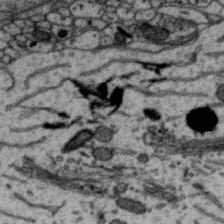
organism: Zebra finch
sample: Brain